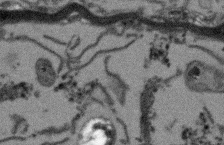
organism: Arabidopsis thaliana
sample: Root tip